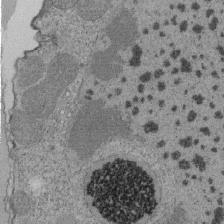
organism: Tetrahymena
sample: Cilia in tetrahymena